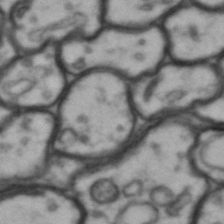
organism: Drosophila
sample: Brain